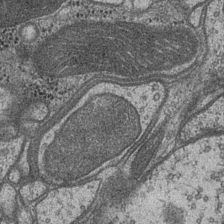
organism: Drosophila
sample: Optic medulla